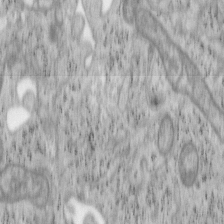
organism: Human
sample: HeLa cells